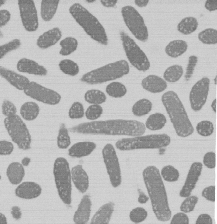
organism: E. coli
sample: Bacterial nucleoid